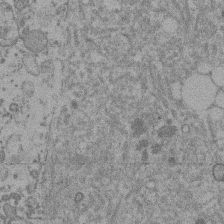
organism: Mouse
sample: Dividing mouse embryo 1 cell stage